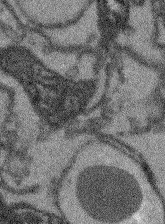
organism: Arabidopsis thaliana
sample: Root tip